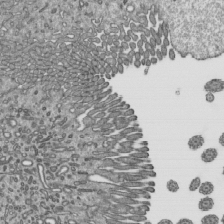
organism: Mouse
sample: Mouse epididymis efferent ductule cilia